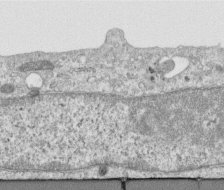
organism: Human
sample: Centriole in RPE cells